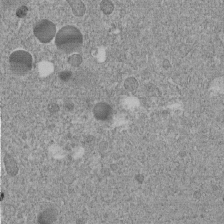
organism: C. elegans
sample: C. elegans embryo early stage